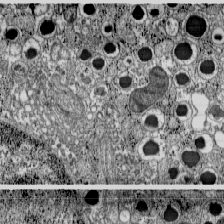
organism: C57BL Mouse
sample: Pancreatic islet